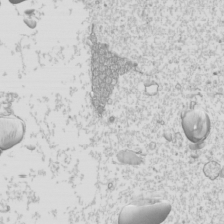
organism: Mouse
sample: Cilia; mouse epididymis